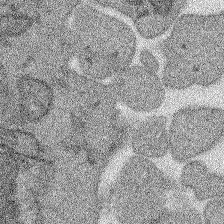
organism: Human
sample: HeLa cells